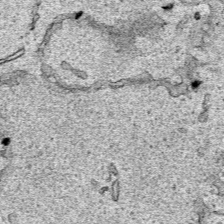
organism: Human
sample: Mitochondria in HCT116 cells